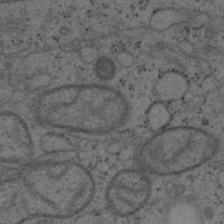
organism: Human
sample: HeLa cells